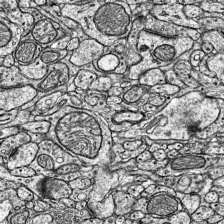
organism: Mouse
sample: Visual Cortex